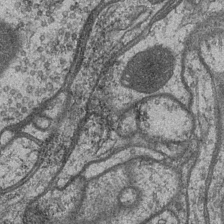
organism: Drosophila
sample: Optic medulla